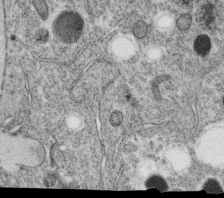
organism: C. elegans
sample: C. elegans oocyte; sperm cells